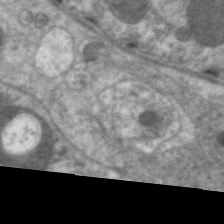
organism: C. elegans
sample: Pharynx